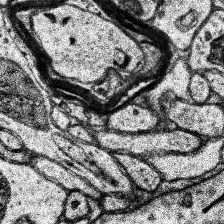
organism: Human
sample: Temporal Lobe